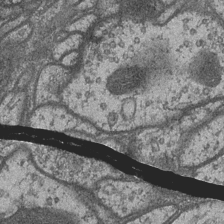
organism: Drosophila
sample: Optic medulla